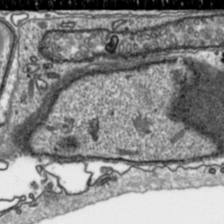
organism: Toxoplasma gondii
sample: Parasites in a vacuole inside a host cell